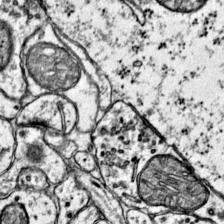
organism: Mouse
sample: Primary visual cortex